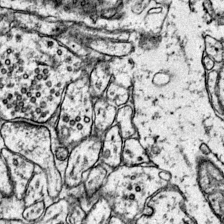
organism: Mouse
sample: Primary visual cortex